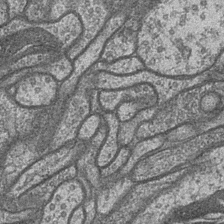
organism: Drosophila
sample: Optic medulla